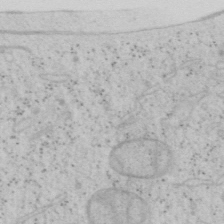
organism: Human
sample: HeLa cells